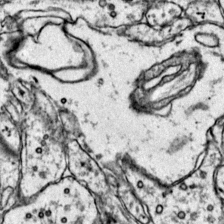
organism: Mouse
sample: Primary visual cortex